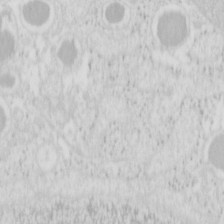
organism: Mouse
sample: Pancreas